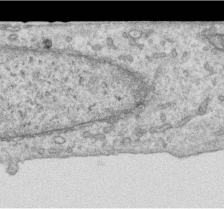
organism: Human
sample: Centriole in RPE cells